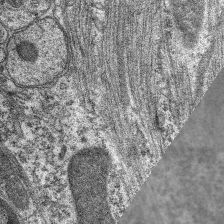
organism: C. elegans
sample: Pharynx